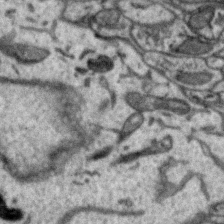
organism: Zebra finch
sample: Brain